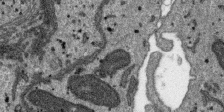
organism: Human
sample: Lung epithelial cells, uninfected (mock) control